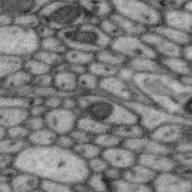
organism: Zebra finch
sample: Brain